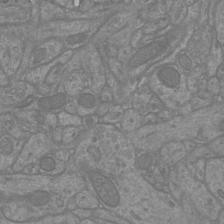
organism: Mouse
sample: Cortical neurons